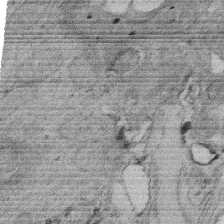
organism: Rat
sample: Salivary granule